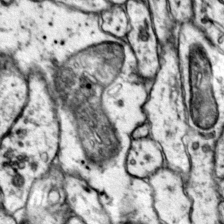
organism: Mouse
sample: Primary visual cortex